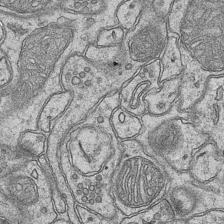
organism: Mouse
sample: CA1 Hippocampus